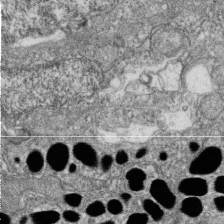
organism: Zebrafish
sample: Cilia; retinal pigment epithelium